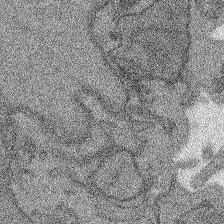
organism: Human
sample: HeLa cells